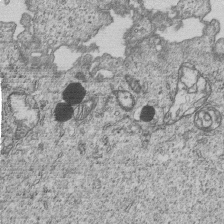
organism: Human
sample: MDA-MB-231 cells